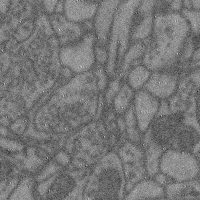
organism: Mouse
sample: Cerebral cortex